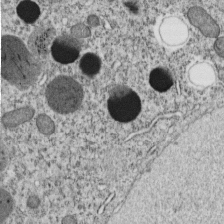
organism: C. elegans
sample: C. elegans embryo early stage